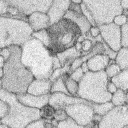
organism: Rabbit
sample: Retina